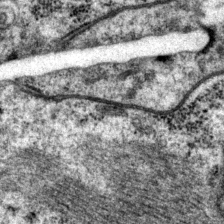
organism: P. pacificus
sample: Pharynx